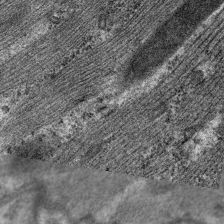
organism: C. elegans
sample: Pharynx